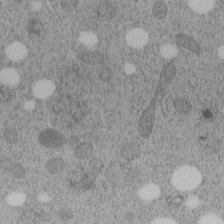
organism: C. elegans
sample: C. elegans embryo early stage